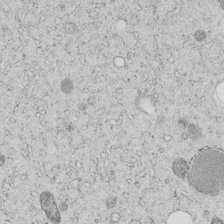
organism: C. elegans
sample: C. elegans embryo early stage